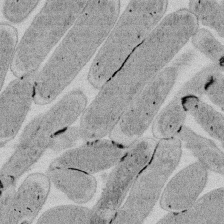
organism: E. coli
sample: Bacterial nucleoid